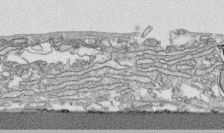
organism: Human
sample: CRL-1474